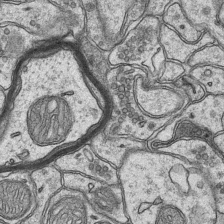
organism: Mouse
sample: CA1 Hippocampus